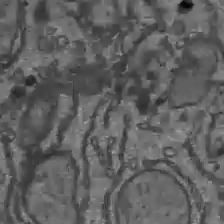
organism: C57BL Mouse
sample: Liver